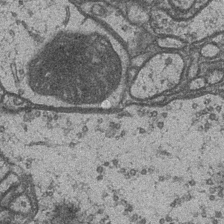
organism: Drosophila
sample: Optic medulla